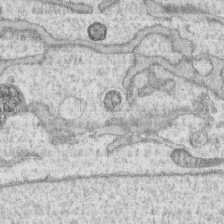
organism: Human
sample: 1205lu cells